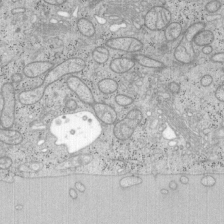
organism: Mouse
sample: OT-I killer T cells with ID8 ovarian cancer cells